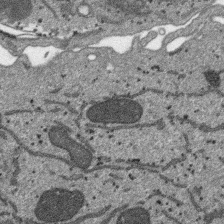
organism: Human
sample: Lung epithelial cells infected with SARS-CoV-2